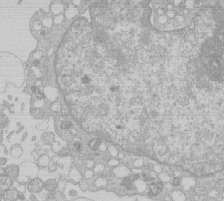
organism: Human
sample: Macrophage cells